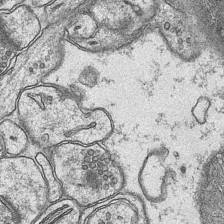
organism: Mouse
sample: CA1 Hippocampus